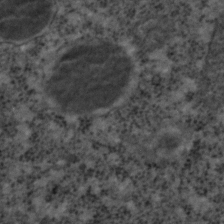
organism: C. elegans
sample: C. elegans embryo